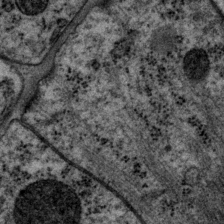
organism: P. pacificus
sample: Pharynx